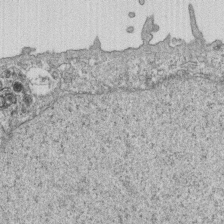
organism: Human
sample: HeLa cell HIV synapse